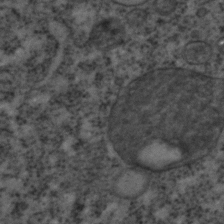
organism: C. elegans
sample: C. elegans embryo